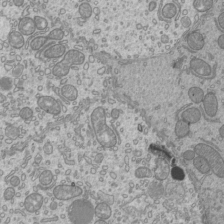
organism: Mouse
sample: Cilia; mouse epididymis